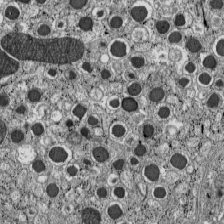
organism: C57BL Mouse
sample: Pancreatic islet